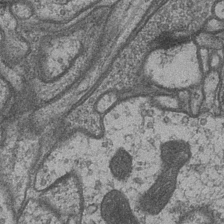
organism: Drosophila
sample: Optic medulla